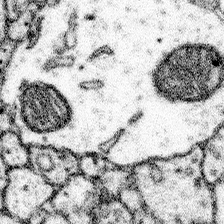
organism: Mouse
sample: Somatosensory cortex neuropil